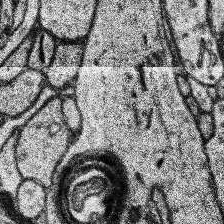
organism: Human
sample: Temporal Lobe